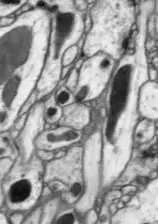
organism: Drosophila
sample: Optic lobe